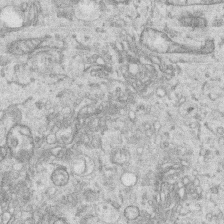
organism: Human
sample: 1205lu cells